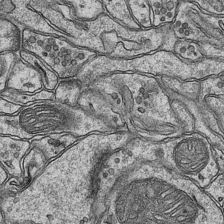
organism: Mouse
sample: CA1 Hippocampus